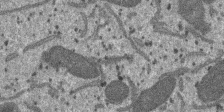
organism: Human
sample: Lung epithelial cells infected with SARS-CoV-2